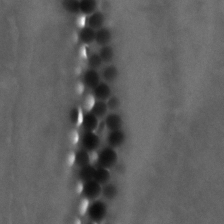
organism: Zebrafish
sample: Zebrafish embryo